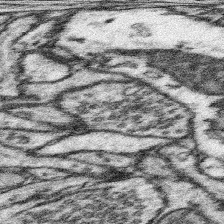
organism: Mouse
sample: Somatosensory cortex neuropil